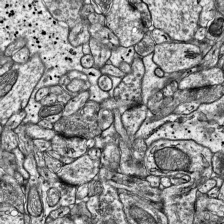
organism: Mouse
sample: Visual Cortex